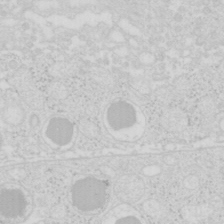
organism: Mouse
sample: Pancreas